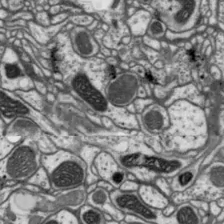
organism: Drosophila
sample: Protocerebral bridge